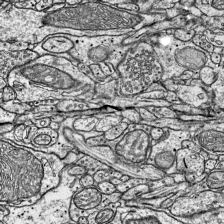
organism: Mouse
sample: Visual Cortex